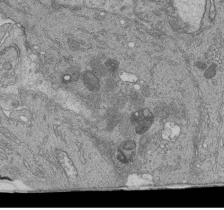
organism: Human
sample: Retinal organoid Rod and Cone cells